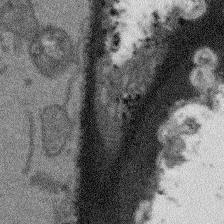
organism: Arabidopsis thaliana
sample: Root tip